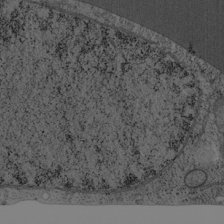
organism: African green monkey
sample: COS-7 cells